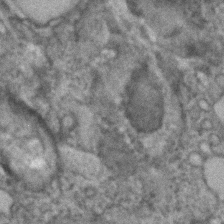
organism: Human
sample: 1205lu cells